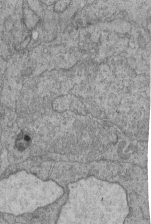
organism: Human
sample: Retinal organoid Rod and Cone cells